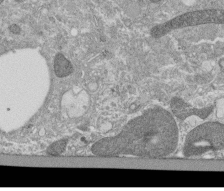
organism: Tetrahymena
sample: Cilia in tetrahymena